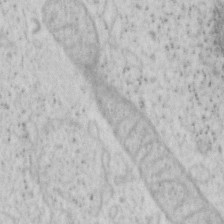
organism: Human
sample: HeLa cells